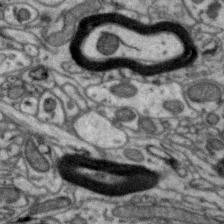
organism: Zebra finch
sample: Brain